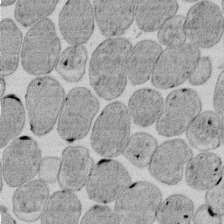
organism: E. coli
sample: Bacterial nucleoid